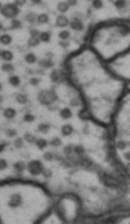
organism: Drosophila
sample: Brain